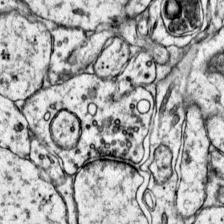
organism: Mouse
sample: Primary visual cortex